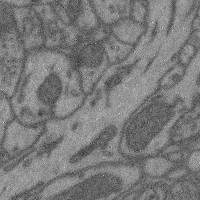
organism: Mouse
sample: Cerebral cortex